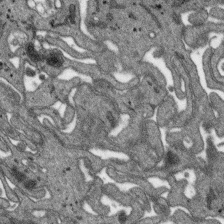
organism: Human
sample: Lung epithelial cells, uninfected (mock) control